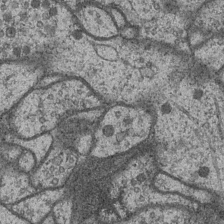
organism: Drosophila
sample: Optic medulla